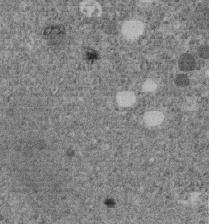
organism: C. elegans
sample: C. elegans embryo early stage